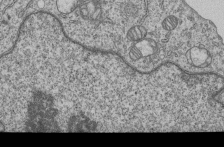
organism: Human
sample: MDA-MB-231 cells